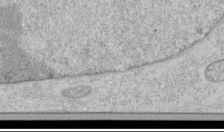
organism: Human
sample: Mitochondria in HCT116 cells